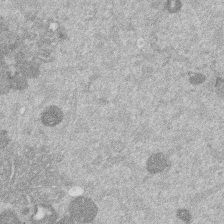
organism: Mouse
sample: Dividing mouse embryo 1 cell stage